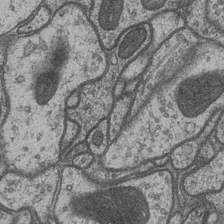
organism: Drosophila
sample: Optic medulla